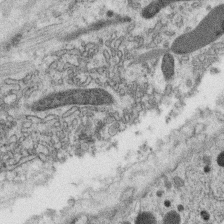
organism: C. elegans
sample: C. elegans oocyte; sperm cells